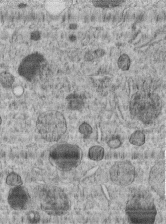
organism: C. elegans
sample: C. elegans embryo early stage